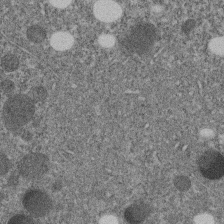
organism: C. elegans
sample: C. elegans embryo early stage